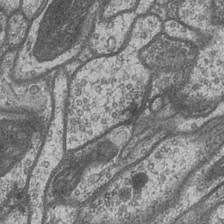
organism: Drosophila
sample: Optic medulla